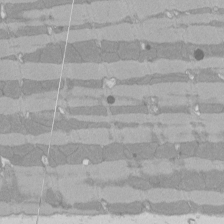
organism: Rat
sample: Left ventricle